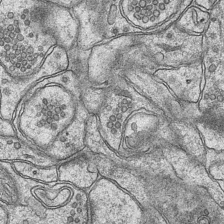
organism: Mouse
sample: CA1 Hippocampus